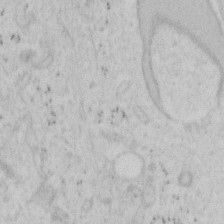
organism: Human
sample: HeLa cells